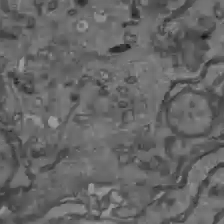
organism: C57BL Mouse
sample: Liver